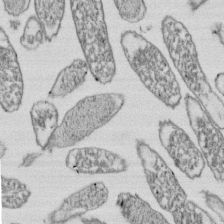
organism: E. coli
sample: Bacterial nucleoid